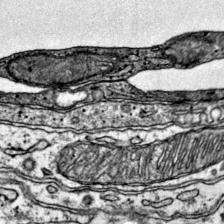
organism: Mouse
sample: Primary visual cortex